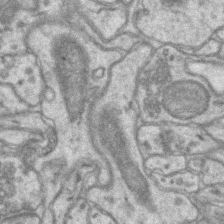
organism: Mouse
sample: CA1 Hippocampus